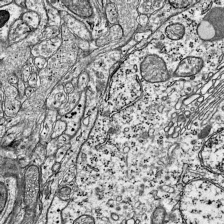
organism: Mouse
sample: Visual Cortex